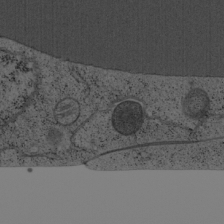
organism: African green monkey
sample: COS-7 cells